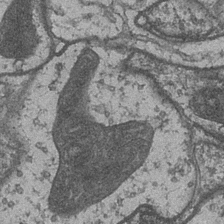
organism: Drosophila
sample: Optic medulla